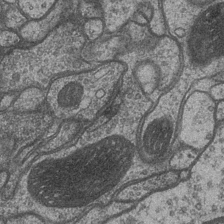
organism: Drosophila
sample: Optic medulla